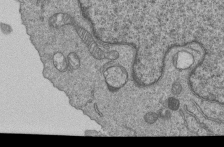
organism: Human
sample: MDA-MB-231 cells